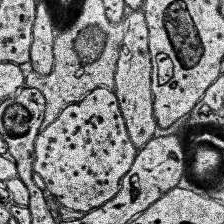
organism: Human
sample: Temporal Lobe